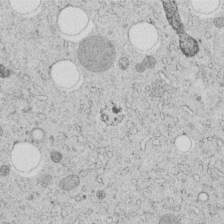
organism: C. elegans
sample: C. elegans embryo early stage